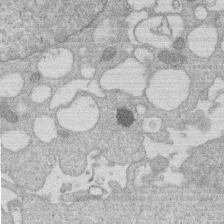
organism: Human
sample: Macrophage cells